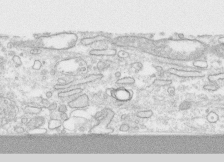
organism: Human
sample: CRL-1474